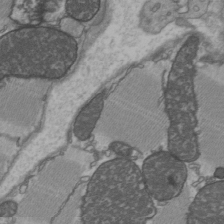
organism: C57BL Mouse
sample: Heart